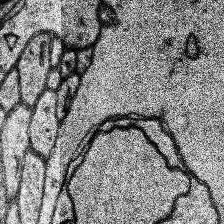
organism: Human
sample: Temporal Lobe